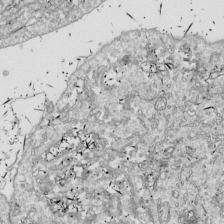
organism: Drosophila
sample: Cell division; meiosis; drosophila spermatocytes